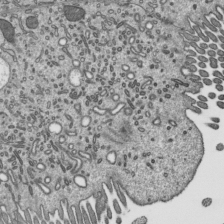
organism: Mouse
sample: Mouse epididymis efferent ductule cilia